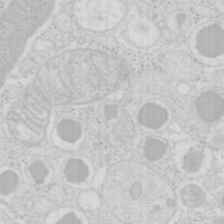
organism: Mouse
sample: Pancreas